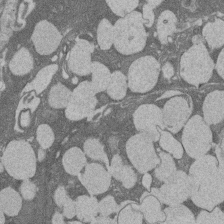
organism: Rat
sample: Salivary granule